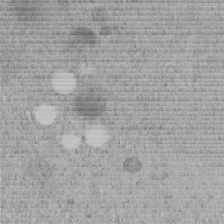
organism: C. elegans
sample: C. elegans embryo early stage